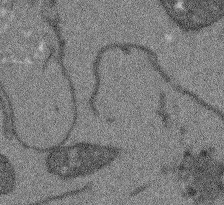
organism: Arabidopsis thaliana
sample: Root tip